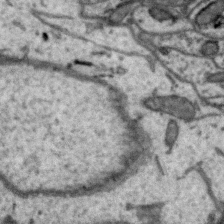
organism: Zebra finch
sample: Brain